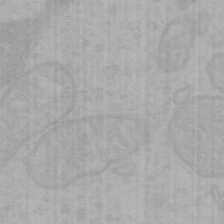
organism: Mouse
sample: Choroid plexus